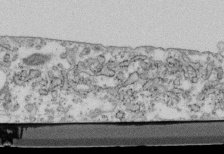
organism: Mouse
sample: Cilia; retinal pigment epithelium